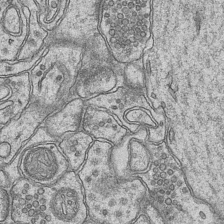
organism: Mouse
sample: CA1 Hippocampus